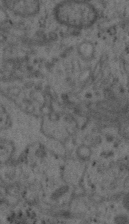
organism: Human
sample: HeLa cells